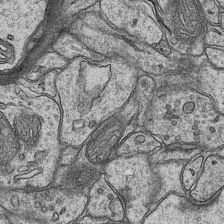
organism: Mouse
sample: CA1 Hippocampus